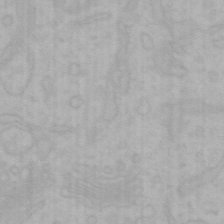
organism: Mouse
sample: Choroid plexus